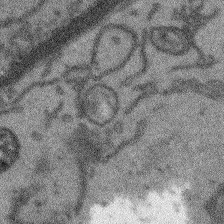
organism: Arabidopsis thaliana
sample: Root tip